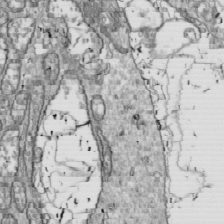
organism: Drosophila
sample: Cell division; meiosis; drosophila spermatocytes